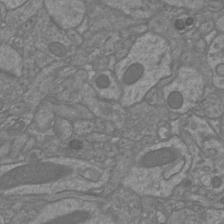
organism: Mouse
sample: Cortical neurons